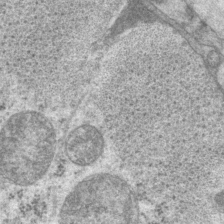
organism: P. pacificus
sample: Pharynx